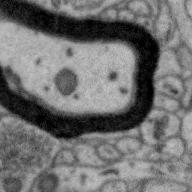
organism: Zebra finch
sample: Brain